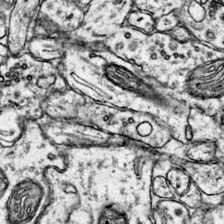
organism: Mouse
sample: Primary visual cortex